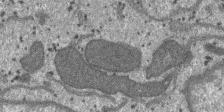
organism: Human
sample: Lung epithelial cells infected with SARS-CoV-2